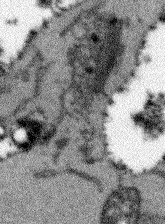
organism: Arabidopsis thaliana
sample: Root tip